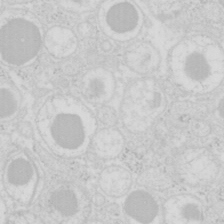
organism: Mouse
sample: Pancreas